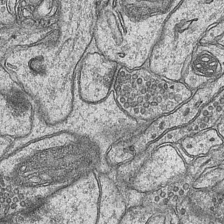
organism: Mouse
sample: CA1 Hippocampus